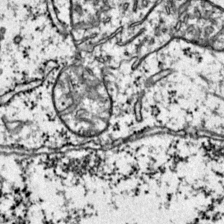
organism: Mouse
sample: Primary visual cortex